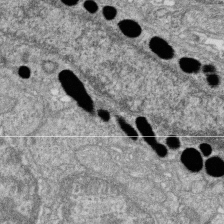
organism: Zebrafish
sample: Cilia; retinal pigment epithelium